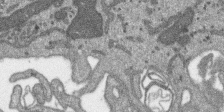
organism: Human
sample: Lung epithelial cells infected with SARS-CoV-2